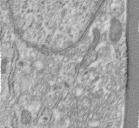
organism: Human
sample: Centriole in fibroblast cells